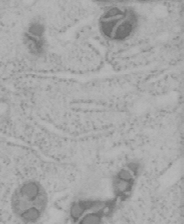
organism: Mouse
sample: OT-I killer T cells with ID8 ovarian cancer cells